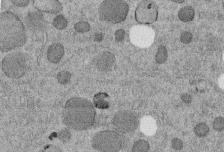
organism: C. elegans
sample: C. elegans embryo early stage